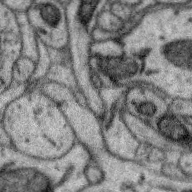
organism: Zebra finch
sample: Brain